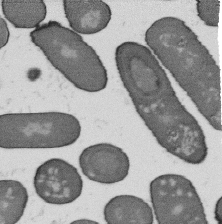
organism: B. subtilis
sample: Bacterial spore